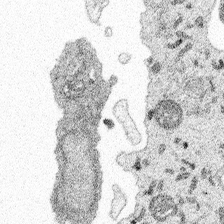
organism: Spongilla lacustris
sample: Multiple